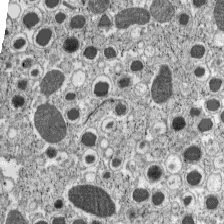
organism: C57BL Mouse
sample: Pancreatic islet